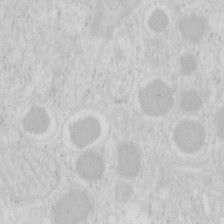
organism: Mouse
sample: Pancreas